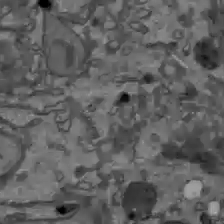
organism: C57BL Mouse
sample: Liver